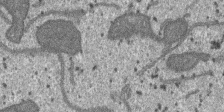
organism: Human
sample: Lung epithelial cells infected with SARS-CoV-2